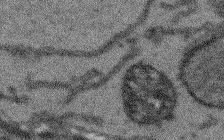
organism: Arabidopsis thaliana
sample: Root tip